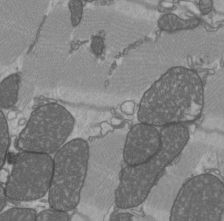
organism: C57BL Mouse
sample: Heart